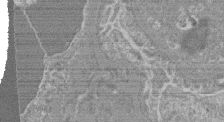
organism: Mouse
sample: Glomerulus